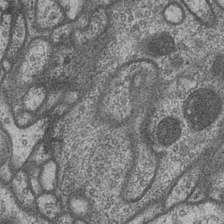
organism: Drosophila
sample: Optic medulla